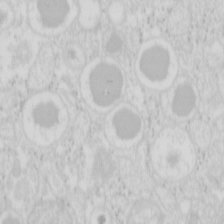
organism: Mouse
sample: Pancreas